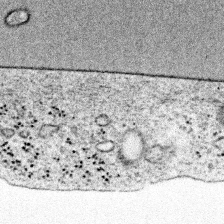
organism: Human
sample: HeLa cells